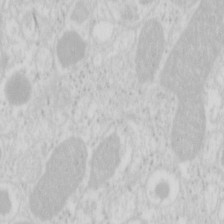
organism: Mouse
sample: Pancreas